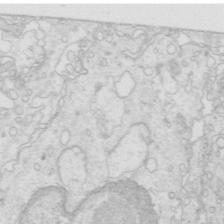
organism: Mouse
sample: Multiciliated cells